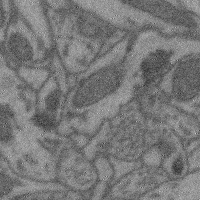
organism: Mouse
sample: Cerebral cortex